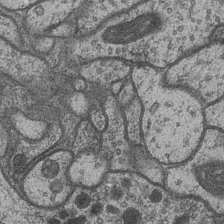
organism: Drosophila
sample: Optic medulla